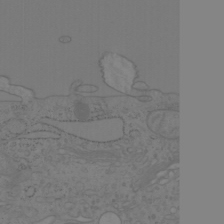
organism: Human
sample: HeLa cells